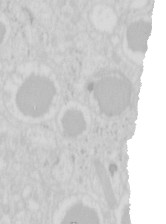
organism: Mouse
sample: Pancreas